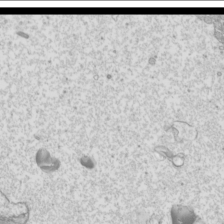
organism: Mouse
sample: Cilia; mouse epididymis